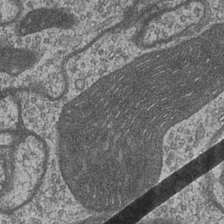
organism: Drosophila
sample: Optic medulla